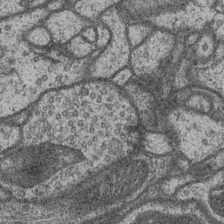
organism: Drosophila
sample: Optic medulla